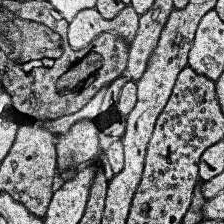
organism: Human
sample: Temporal Lobe